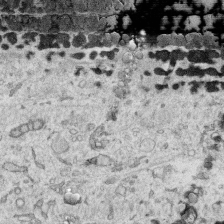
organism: Human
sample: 1205lu cells